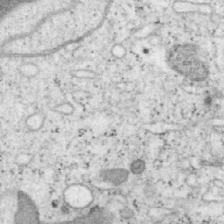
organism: Mouse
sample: OT-I killer T cells with ID8 ovarian cancer cells